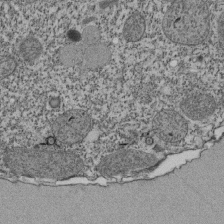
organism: Tetrahymena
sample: Cilia in tetrahymena